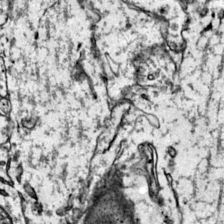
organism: Mouse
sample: Primary visual cortex